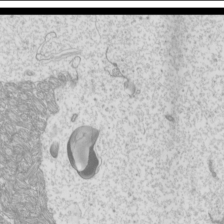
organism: Mouse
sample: Cilia; mouse epididymis